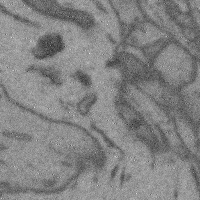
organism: Mouse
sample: Cerebral cortex